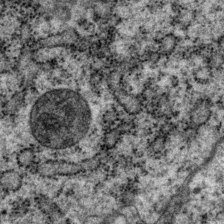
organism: P. pacificus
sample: Pharynx